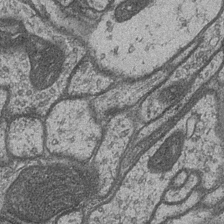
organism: Drosophila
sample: Optic medulla